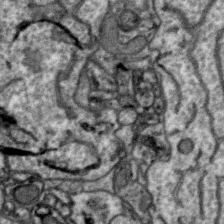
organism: Zebra finch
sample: Brain